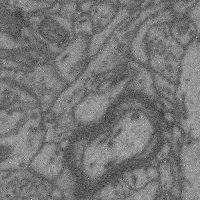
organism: Mouse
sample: Cerebral cortex